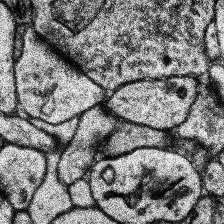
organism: Human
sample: Temporal Lobe